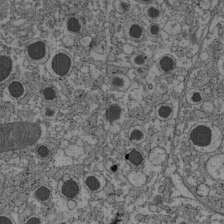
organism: C57BL Mouse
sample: Pancreatic islet